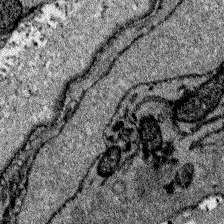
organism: Zebrafish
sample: Larval olfactory bulb